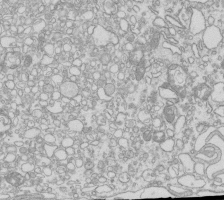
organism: Mouse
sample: Macrophages